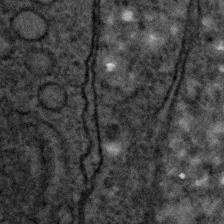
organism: C. elegans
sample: C. elegans embryo